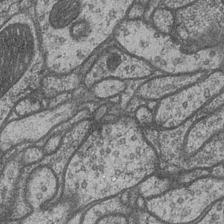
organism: Drosophila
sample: Optic medulla